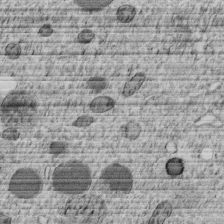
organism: C. elegans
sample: C. elegans embryo early stage